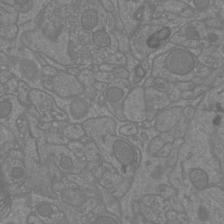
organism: Mouse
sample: Cortical neurons